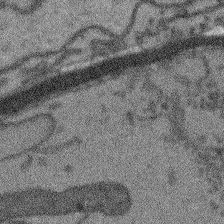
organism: Arabidopsis thaliana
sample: Root tip